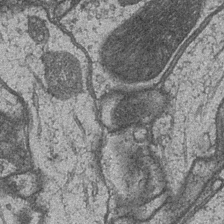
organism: Drosophila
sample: Optic medulla